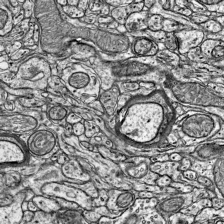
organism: Mouse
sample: Visual Cortex